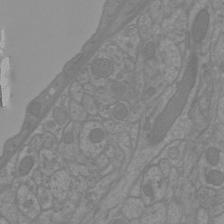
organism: Mouse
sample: Cortical neurons